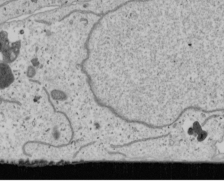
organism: Human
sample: Mitochondria in U2OS cells